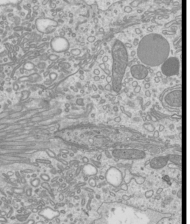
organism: Mouse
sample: Cilia; mouse epididymis